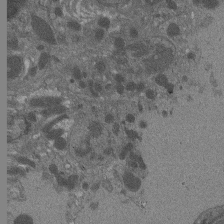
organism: Drosophila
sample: Antenna